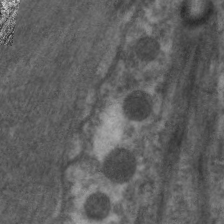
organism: C. elegans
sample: Pharynx